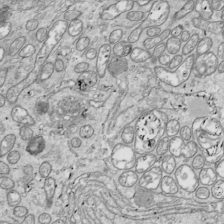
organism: Drosophila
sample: Cell division; meiosis; drosophila spermatocytes